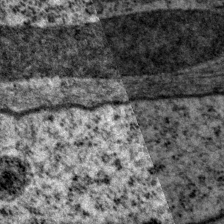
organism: P. pacificus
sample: Pharynx